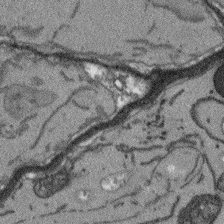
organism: Arabidopsis thaliana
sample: Root tip